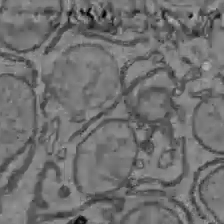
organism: C57BL Mouse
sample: Liver